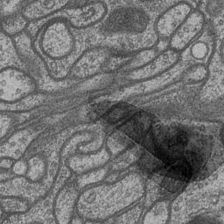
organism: Drosophila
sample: Optic medulla